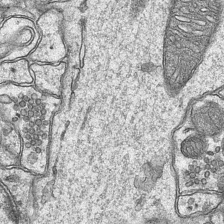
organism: Mouse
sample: CA1 Hippocampus